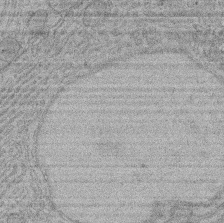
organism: Rat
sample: Salivary granule